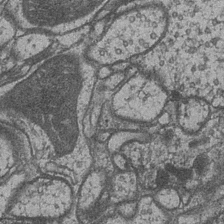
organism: Drosophila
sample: Optic medulla